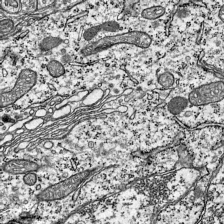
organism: Mouse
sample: Visual Cortex